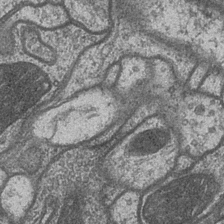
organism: Drosophila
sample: Optic medulla